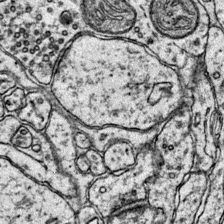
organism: Mouse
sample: Primary visual cortex